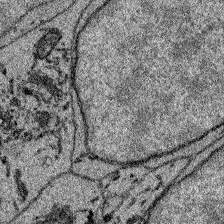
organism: Zebrafish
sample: Larval olfactory bulb